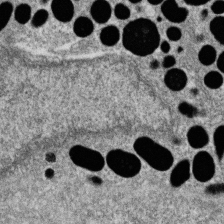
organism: Zebrafish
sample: Cilia; retinal pigment epithelium